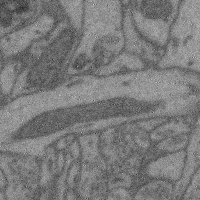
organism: Mouse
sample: Cerebral cortex